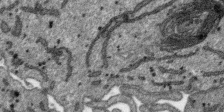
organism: Human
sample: Lung epithelial cells, uninfected (mock) control